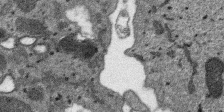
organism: Human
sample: Lung epithelial cells infected with SARS-CoV-2